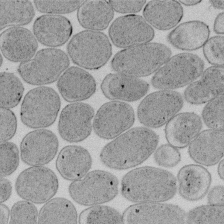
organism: E. coli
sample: Bacterial nucleoid